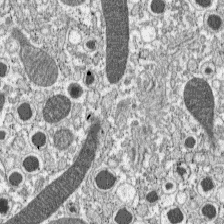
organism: C57BL Mouse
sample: Pancreatic islet